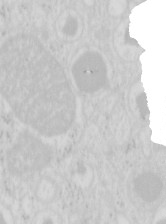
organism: Mouse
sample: Pancreas